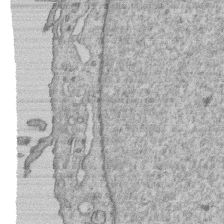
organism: Human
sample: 1205lu cells